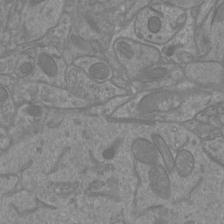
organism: Mouse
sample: Cortical neurons